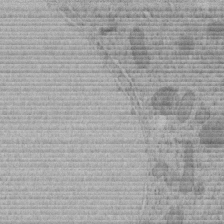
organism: C. elegans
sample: C. elegans embryo early stage